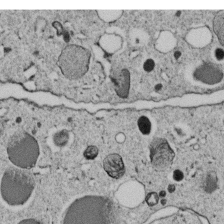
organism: C. elegans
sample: C. elegans embryo early stage